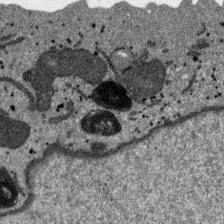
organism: Human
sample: Lung epithelial cells, uninfected (mock) control